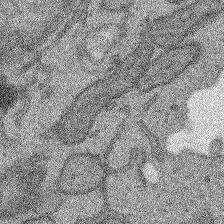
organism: Human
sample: HeLa cells